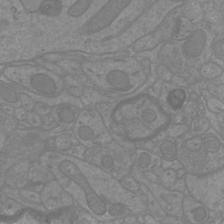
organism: Mouse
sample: Cortical neurons